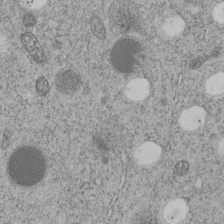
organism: C. elegans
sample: C. elegans embryo early stage